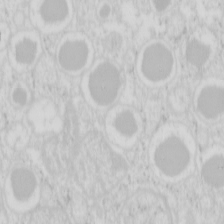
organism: Mouse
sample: Pancreas